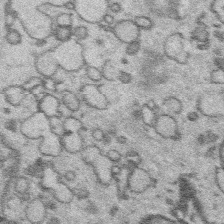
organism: Platynereis dumerilii